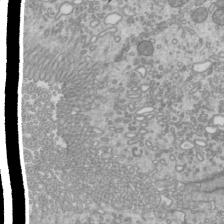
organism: Mouse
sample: Cilia; mouse epididymis